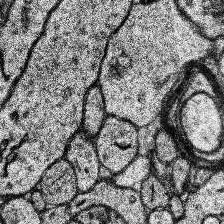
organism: Human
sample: Temporal Lobe